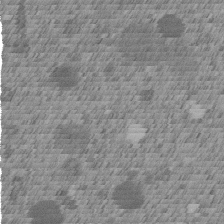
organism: C. elegans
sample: C. elegans embryo early stage